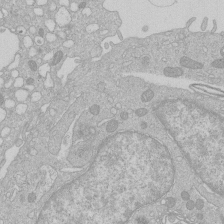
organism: Human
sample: Macrophage cells